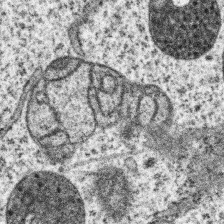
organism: Human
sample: HeLa cells